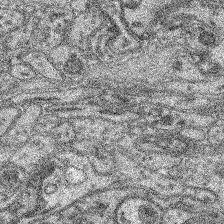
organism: Mouse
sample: Retina